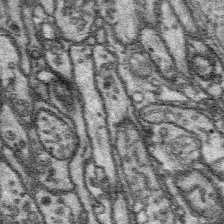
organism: Platynereis dumerilii